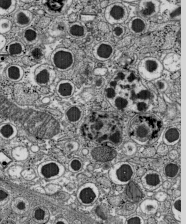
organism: C57BL Mouse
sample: Pancreatic islet